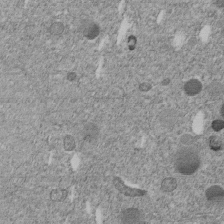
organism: C. elegans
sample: C. elegans embryo early stage